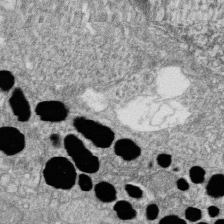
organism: Zebrafish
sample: Cilia; retinal pigment epithelium